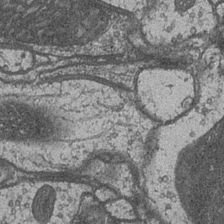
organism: Drosophila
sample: Optic medulla